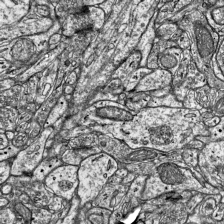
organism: Mouse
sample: Visual Cortex